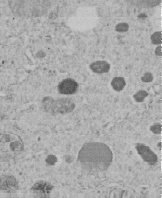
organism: C. elegans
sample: C. elegans embryo early stage